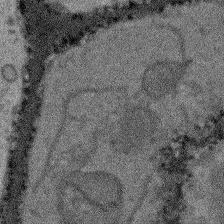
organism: Arabidopsis thaliana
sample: Root tip